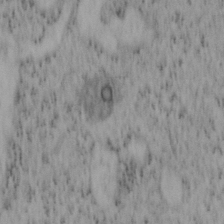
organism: Mouse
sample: OT-I killer T cells with ID8 ovarian cancer cells